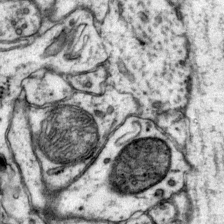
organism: Mouse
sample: Primary visual cortex